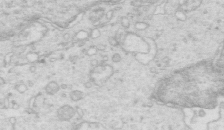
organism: Mouse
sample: Multiciliated cells